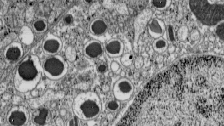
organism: C57BL Mouse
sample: Pancreatic islet